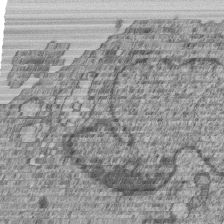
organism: Human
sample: MDA-MB-231 cells